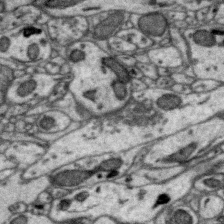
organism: Zebra finch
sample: Brain